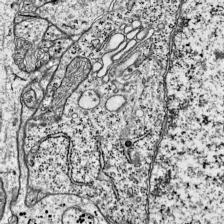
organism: Mouse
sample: Visual Cortex